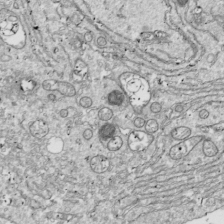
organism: Drosophila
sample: Cell division; meiosis; drosophila spermatocytes